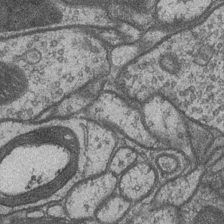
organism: Drosophila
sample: Optic medulla